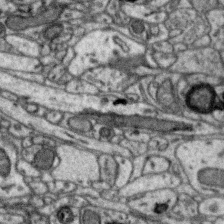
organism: Zebra finch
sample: Brain